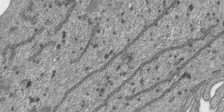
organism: Human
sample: Lung epithelial cells infected with SARS-CoV-2